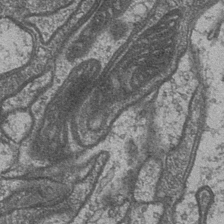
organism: Drosophila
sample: Optic medulla